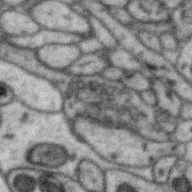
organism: Zebra finch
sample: Brain